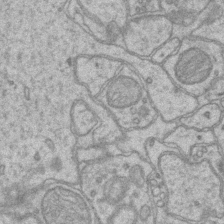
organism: Mouse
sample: CA1 Hippocampus